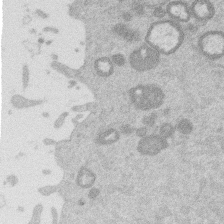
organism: Mouse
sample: Dividing mouse embryo 1 cell stage